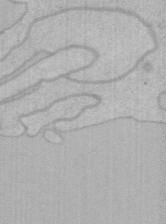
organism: Human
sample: HeLa cells